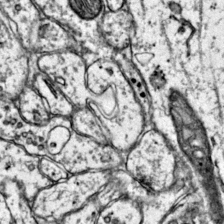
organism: Mouse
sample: Primary visual cortex